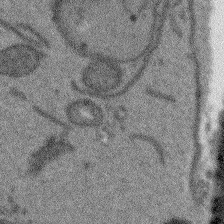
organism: Arabidopsis thaliana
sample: Root tip